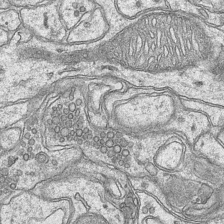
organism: Mouse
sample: CA1 Hippocampus